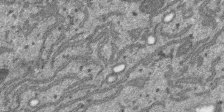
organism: Human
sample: Lung epithelial cells infected with SARS-CoV-2